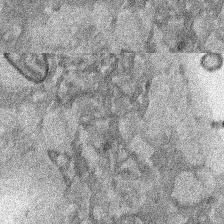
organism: Human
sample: Mitochondria in HCT116 cells